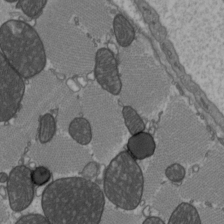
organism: C57BL Mouse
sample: Heart